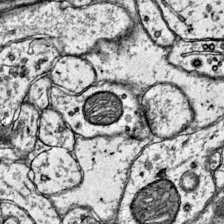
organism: Mouse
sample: Primary visual cortex